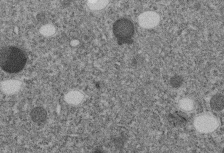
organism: C. elegans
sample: C. elegans embryo early stage